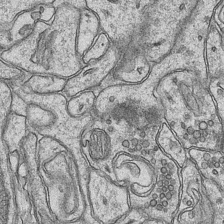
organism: Mouse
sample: CA1 Hippocampus